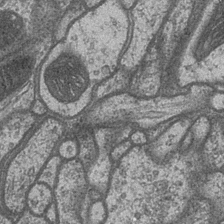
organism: Drosophila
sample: Optic medulla